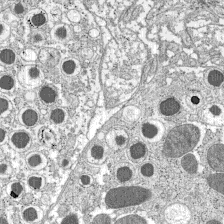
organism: C57BL Mouse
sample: Pancreatic islet